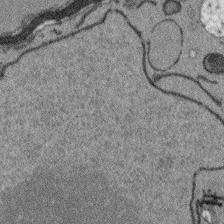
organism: Arabidopsis thaliana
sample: Root tip